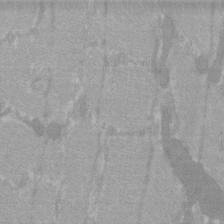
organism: C57BL Mouse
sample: Tibialis anterior muscle cell